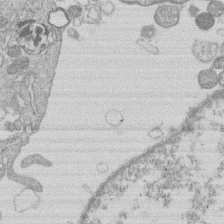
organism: Human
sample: Macrophage cells